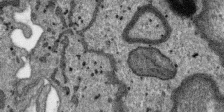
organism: Human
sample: Lung epithelial cells, uninfected (mock) control